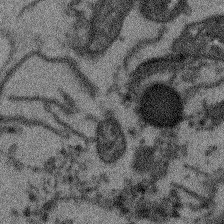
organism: Arabidopsis thaliana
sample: Root tip